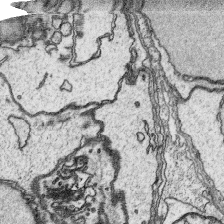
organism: Platynereis dumerilii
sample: Parapodia